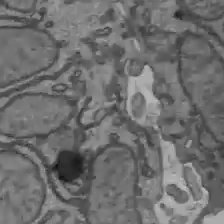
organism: C57BL Mouse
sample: Liver